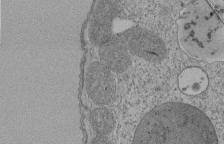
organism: Tetrahymena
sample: Cilia in tetrahymena